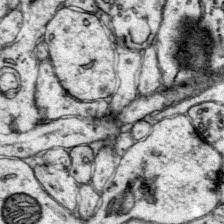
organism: Mouse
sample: Primary visual cortex